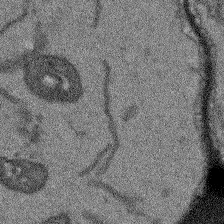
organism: Arabidopsis thaliana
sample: Root tip